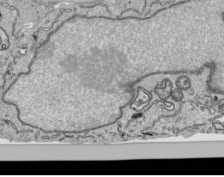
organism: Human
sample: Mitochondria in HCT116 cells